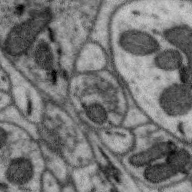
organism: Zebra finch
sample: Brain